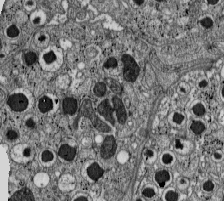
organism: C57BL Mouse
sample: Pancreatic islet